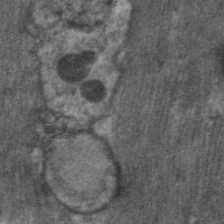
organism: C. elegans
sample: Pharynx